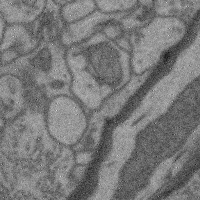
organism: Mouse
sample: Cerebral cortex